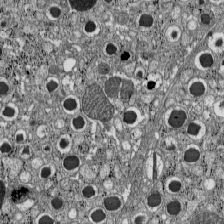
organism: C57BL Mouse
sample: Pancreatic islet